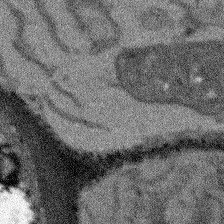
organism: Arabidopsis thaliana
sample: Root tip